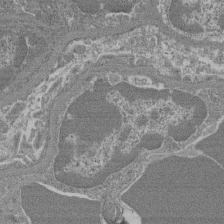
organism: Mouse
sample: Glomerulus